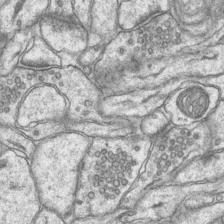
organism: Mouse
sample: CA1 Hippocampus